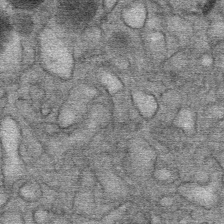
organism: Mouse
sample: Mouse Salivary gland